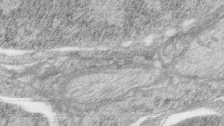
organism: Zebrafish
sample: synaptic ribbons in rod cells and cone cells